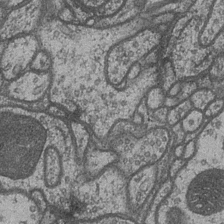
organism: Drosophila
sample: Optic medulla